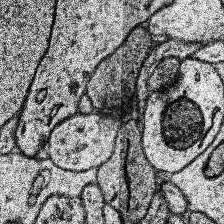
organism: Human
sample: Temporal Lobe